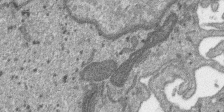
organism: Human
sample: Lung epithelial cells infected with SARS-CoV-2